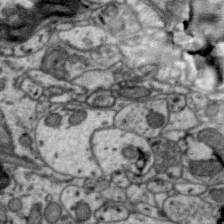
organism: Zebra finch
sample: Brain